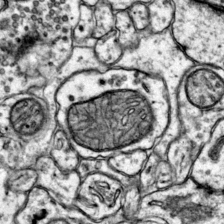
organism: Mouse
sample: Primary visual cortex